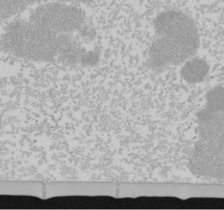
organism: Mouse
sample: Cancer cell death in ED-1 cells